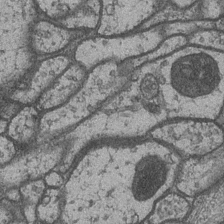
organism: Drosophila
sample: Optic medulla